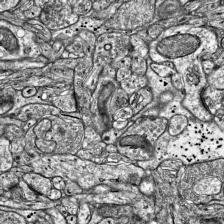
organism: Mouse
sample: Visual Cortex